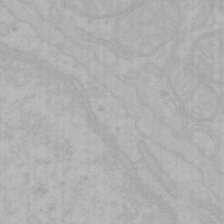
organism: Mouse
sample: Choroid plexus